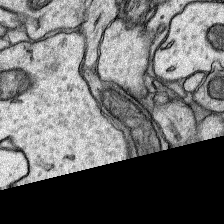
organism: Rat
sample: Hippocampus